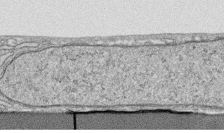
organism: Human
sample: CRL-1474